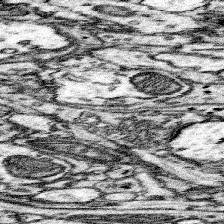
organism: Mouse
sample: Somatosensory cortex neuropil